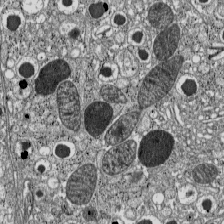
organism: C57BL Mouse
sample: Pancreatic islet